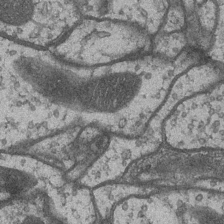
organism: Drosophila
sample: Optic medulla